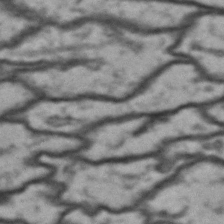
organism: Drosophila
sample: Brain